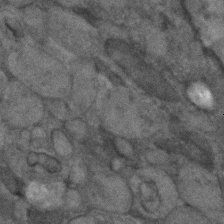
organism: Human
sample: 1205lu cells